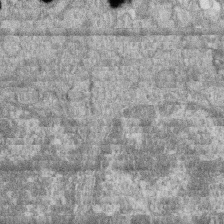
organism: Zebrafish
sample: Cilia; retinal pigment epithelium